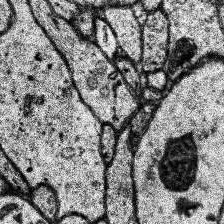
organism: Human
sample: Temporal Lobe